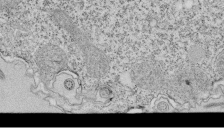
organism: Tetrahymena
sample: Cilia in tetrahymena